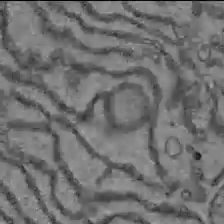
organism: C57BL Mouse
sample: Liver